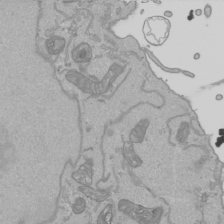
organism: Human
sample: Mitochondria in HCT116 cells